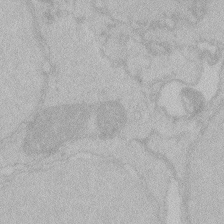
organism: Zebrafish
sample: Macrophage infected with Toxoplasma gondii